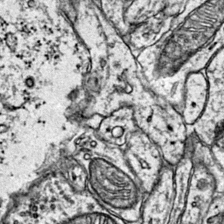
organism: Mouse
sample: Primary visual cortex